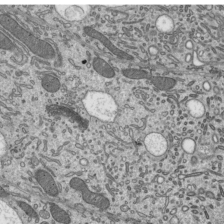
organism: Mouse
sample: Mouse epididymis efferent ductule cilia